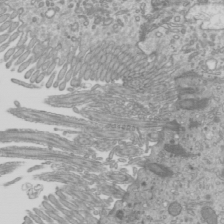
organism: Mouse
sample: Cilia; mouse epididymis